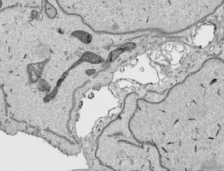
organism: Human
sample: Mitochondria in HCT116 cells